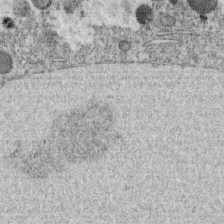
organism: C. elegans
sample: C. elegans oocyte; sperm cells